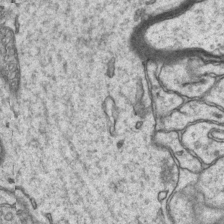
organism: Mouse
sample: CA1 Hippocampus